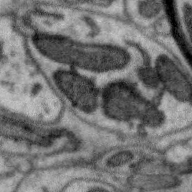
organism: Zebra finch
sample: Brain